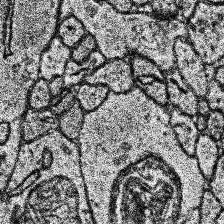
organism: Human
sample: Temporal Lobe